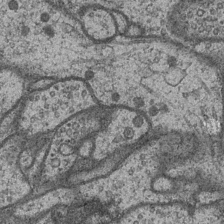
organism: Drosophila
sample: Optic medulla